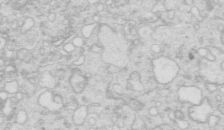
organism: Mouse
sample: Multiciliated cells